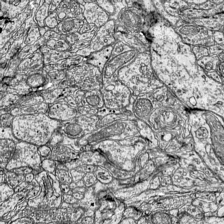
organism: Mouse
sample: Visual Cortex